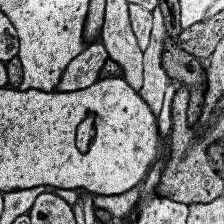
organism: Human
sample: Temporal Lobe